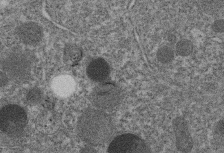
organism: C. elegans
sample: C. elegans embryo early stage